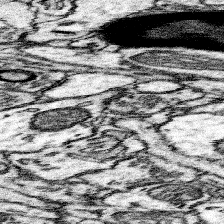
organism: Mouse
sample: Somatosensory cortex neuropil